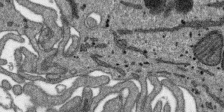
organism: Human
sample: Lung epithelial cells, uninfected (mock) control